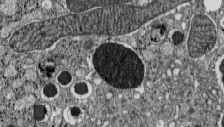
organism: C57BL Mouse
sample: Pancreatic islet